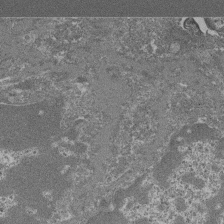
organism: Mouse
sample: Glomerulus